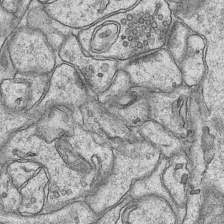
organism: Mouse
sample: CA1 Hippocampus